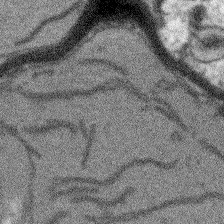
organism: Arabidopsis thaliana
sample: Root tip